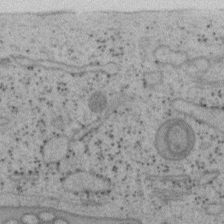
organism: Human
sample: HeLa cells